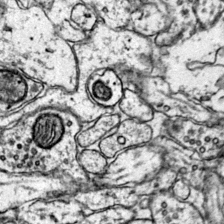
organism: Mouse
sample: Primary visual cortex